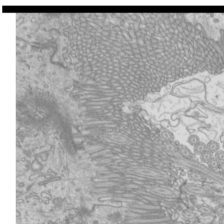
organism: Mouse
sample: Cilia; mouse epididymis